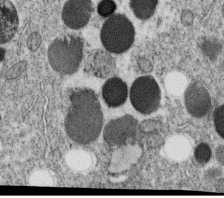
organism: C. elegans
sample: C. elegans oocyte; sperm cells